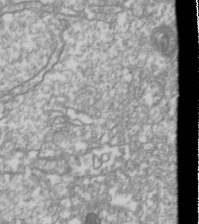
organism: Drosophila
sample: Cell division; meiosis; drosophila spermatocytes